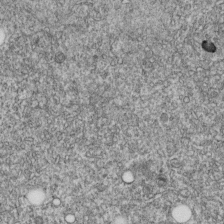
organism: C. elegans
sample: C. elegans embryo early stage